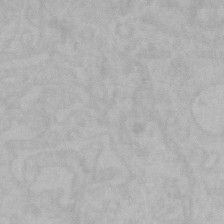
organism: Mouse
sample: Choroid plexus